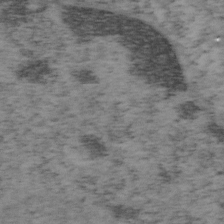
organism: Mouse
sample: OT-I killer T cells with ID8 ovarian cancer cells